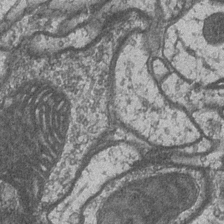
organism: Drosophila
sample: Optic medulla